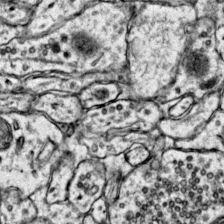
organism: Mouse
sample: Primary visual cortex